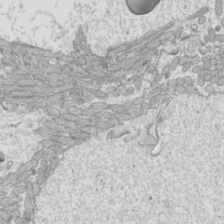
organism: Mouse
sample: Cilia; mouse epididymis